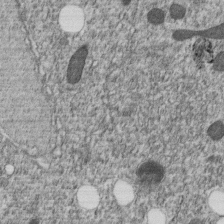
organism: C. elegans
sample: C. elegans embryo early stage